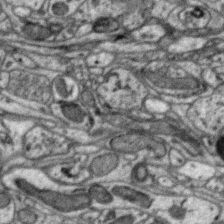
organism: Zebra finch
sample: Brain